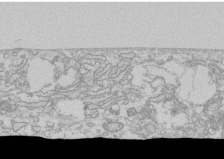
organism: Human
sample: CRL-1474